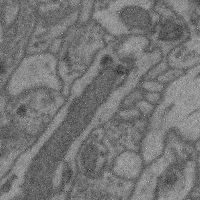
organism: Mouse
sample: Cerebral cortex